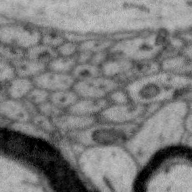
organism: Zebra finch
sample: Brain